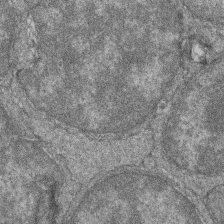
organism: Zebrafish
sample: Cilia; retinal pigment epithelium